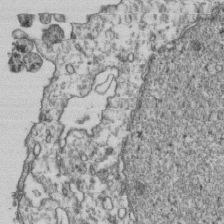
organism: Human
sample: Activated Jurkat CD4+ T cells